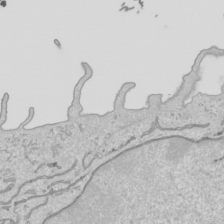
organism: Human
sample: Mitochondria in HCT116 cells